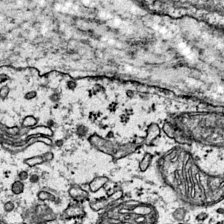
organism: Mouse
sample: Primary visual cortex